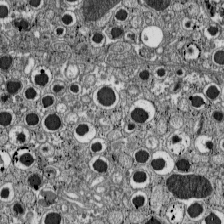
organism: C57BL Mouse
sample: Pancreatic islet